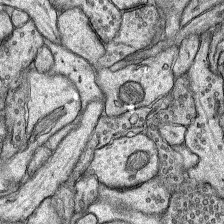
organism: Rat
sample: Hippocampus